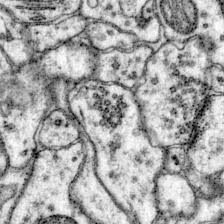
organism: Mouse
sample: Primary visual cortex